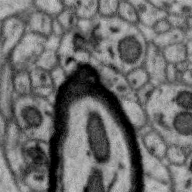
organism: Zebra finch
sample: Brain